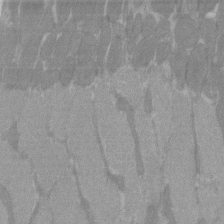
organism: C57BL Mouse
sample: Tibialis anterior muscle cell